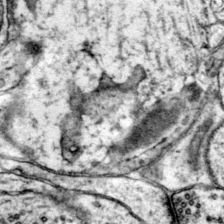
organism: Mouse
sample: Primary visual cortex